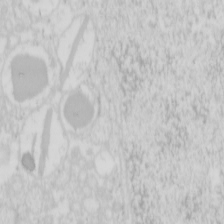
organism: Mouse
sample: Pancreas